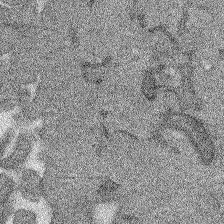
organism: Human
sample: HeLa cells